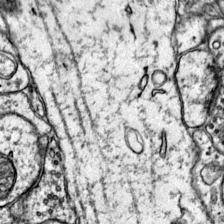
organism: Mouse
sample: Primary visual cortex